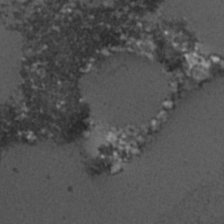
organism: C. elegans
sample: C. elegans embryo